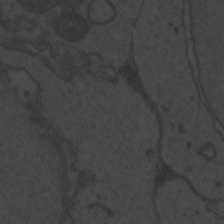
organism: Zebrafish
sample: Macrophage infected with Toxoplasma gondii